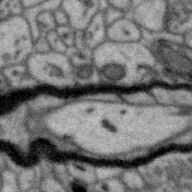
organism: Zebra finch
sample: Brain